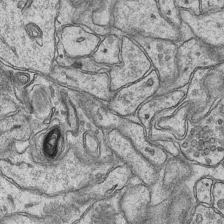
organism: Mouse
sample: CA1 Hippocampus